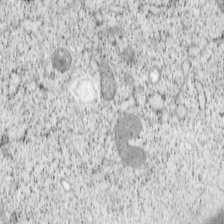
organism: African green monkey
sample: COS-7 cells